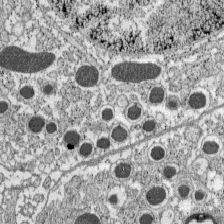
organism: C57BL Mouse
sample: Pancreatic islet